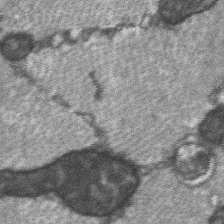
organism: C57BL Mouse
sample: Soleus